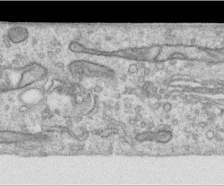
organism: Human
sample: Centriole in RPE cells